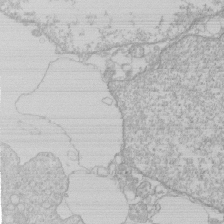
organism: Human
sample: Macrophage cells